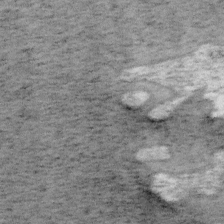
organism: Mouse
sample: OT-I killer T cells with ID8 ovarian cancer cells